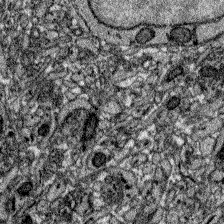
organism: Zebrafish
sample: Larval olfactory bulb